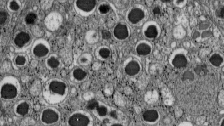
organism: C57BL Mouse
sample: Pancreatic islet